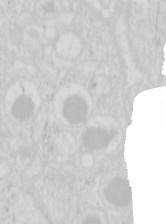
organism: Mouse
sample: Pancreas